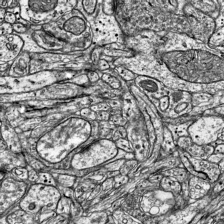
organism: Mouse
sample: Visual Cortex